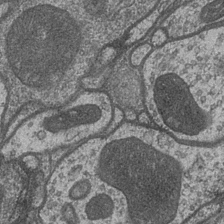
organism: Drosophila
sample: Optic medulla